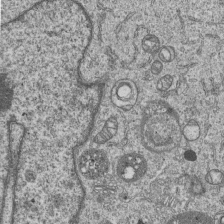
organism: Human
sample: MDA-MB-231 cells